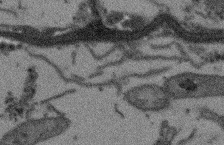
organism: Arabidopsis thaliana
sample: Root tip